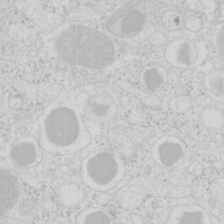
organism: Mouse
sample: Pancreas